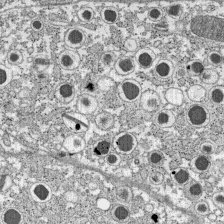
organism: C57BL Mouse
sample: Pancreatic islet